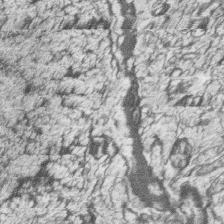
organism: Zebrafish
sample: synaptic ribbons in rod cells and cone cells